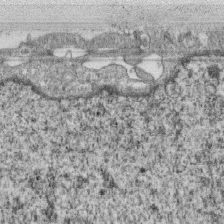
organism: African green monkey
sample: Vero E6 cells infected with SARS-CoV-2